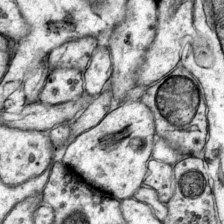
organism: Mouse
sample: Primary visual cortex